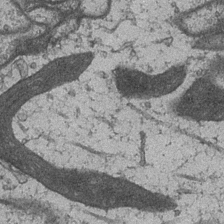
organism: Drosophila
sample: Optic medulla